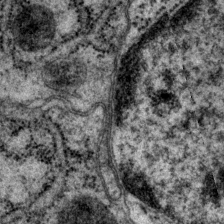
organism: P. pacificus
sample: Pharynx